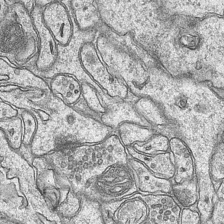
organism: Mouse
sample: CA1 Hippocampus